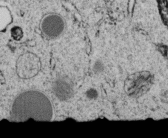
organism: C. elegans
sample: C. elegans embryo early stage